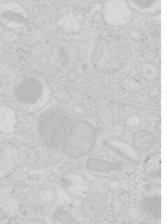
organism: Mouse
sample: Pancreas